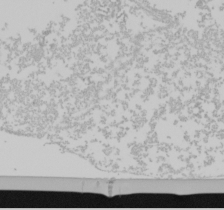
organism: Mouse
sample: Cancer cell death in ED-1 cells